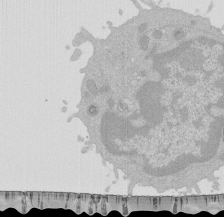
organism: Mouse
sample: Activated Pmel transgenic CD8+ T Cells